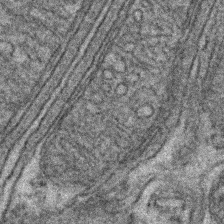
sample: Kidney